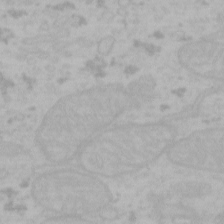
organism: Mouse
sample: Choroid plexus